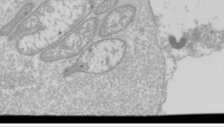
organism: Drosophila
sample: Cell division; meiosis; drosophila spermatocytes